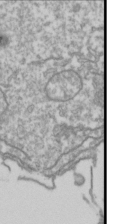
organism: Drosophila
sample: Cell division; meiosis; drosophila spermatocytes